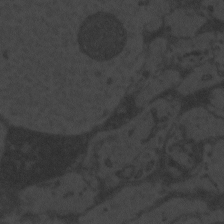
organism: Zebrafish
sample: Macrophage infected with Toxoplasma gondii